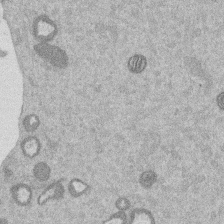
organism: Mouse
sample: Dividing mouse embryo 1 cell stage